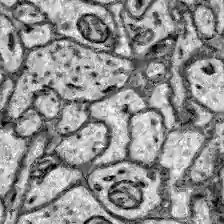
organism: Zebrafish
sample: Brain